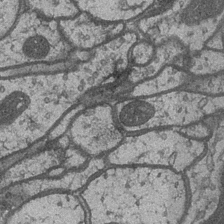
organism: Drosophila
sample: Optic medulla